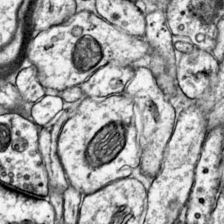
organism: Mouse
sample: Primary visual cortex